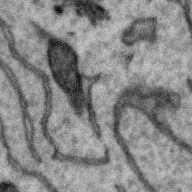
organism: Zebra finch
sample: Brain